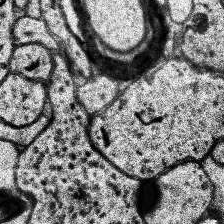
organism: Human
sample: Temporal Lobe